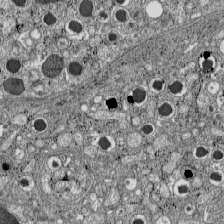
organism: C57BL Mouse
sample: Pancreatic islet